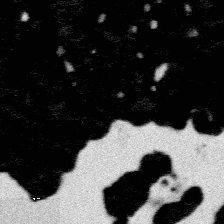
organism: Platynereis dumerilii